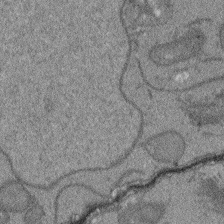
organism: Arabidopsis thaliana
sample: Root tip